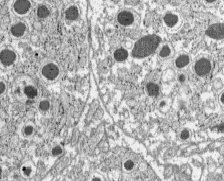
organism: C57BL Mouse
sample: Pancreatic islet